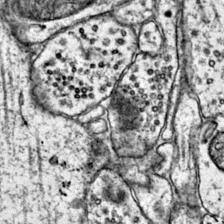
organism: Mouse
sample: Primary visual cortex